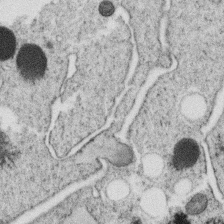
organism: C. elegans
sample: C. elegans oocyte; sperm cells